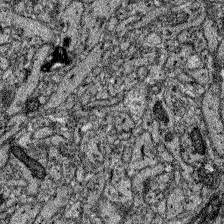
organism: Zebrafish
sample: Larval olfactory bulb